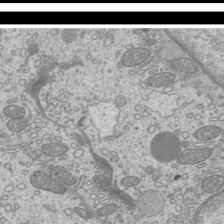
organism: Mouse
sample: Cilia; mouse epididymis